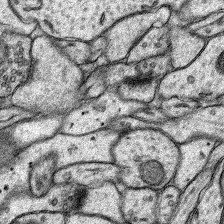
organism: Rat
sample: Hippocampus